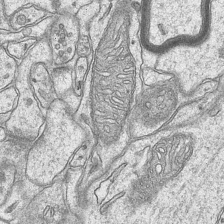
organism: Mouse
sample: CA1 Hippocampus